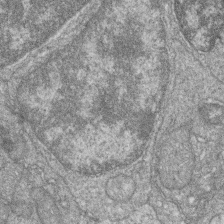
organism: Zebrafish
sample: Cilia; retinal pigment epithelium